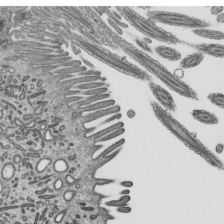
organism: Mouse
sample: Mouse epididymis efferent ductule cilia